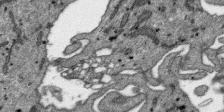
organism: Human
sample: Lung epithelial cells, uninfected (mock) control